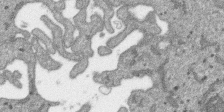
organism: Human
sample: Lung epithelial cells infected with SARS-CoV-2